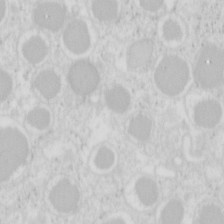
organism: Mouse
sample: Pancreas